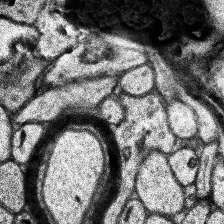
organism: Human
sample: Temporal Lobe